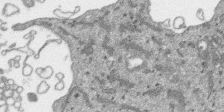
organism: Human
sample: Lung epithelial cells infected with SARS-CoV-2